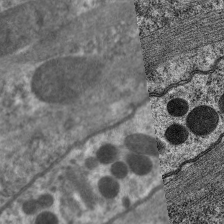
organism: C. elegans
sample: Pharynx